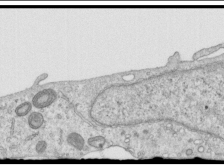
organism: Human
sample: Centriole in RPE cells